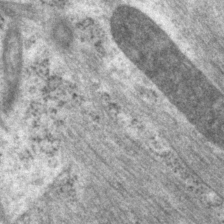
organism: P. pacificus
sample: Pharynx